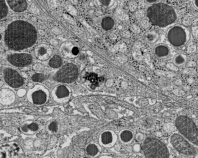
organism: C57BL Mouse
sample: Pancreatic islet